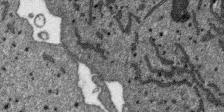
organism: Human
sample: Lung epithelial cells infected with SARS-CoV-2